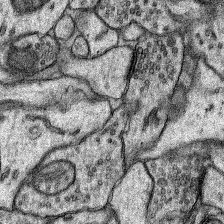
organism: Rat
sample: Hippocampus